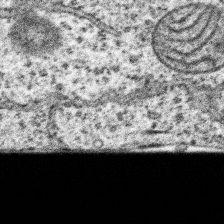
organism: Human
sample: HeLa cells